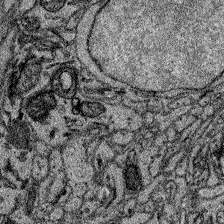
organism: Zebrafish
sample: Larval olfactory bulb